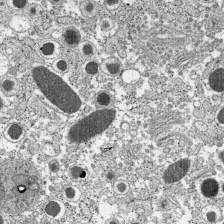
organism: C57BL Mouse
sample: Pancreatic islet